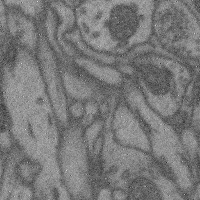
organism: Mouse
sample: Cerebral cortex